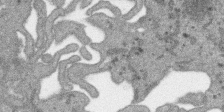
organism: Human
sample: Lung epithelial cells infected with SARS-CoV-2